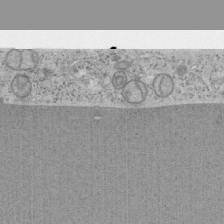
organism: Human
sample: HeLa cells